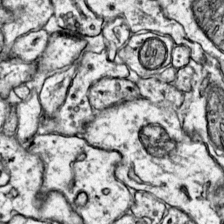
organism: Mouse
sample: Primary visual cortex